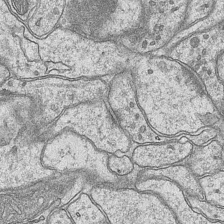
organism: Mouse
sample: CA1 Hippocampus